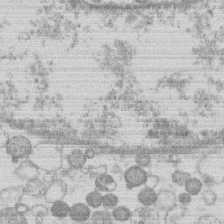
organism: Human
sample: Macrophage cells